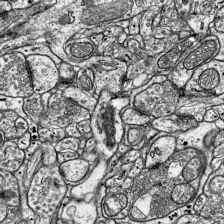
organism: Mouse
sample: Visual Cortex